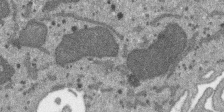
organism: Human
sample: Lung epithelial cells infected with SARS-CoV-2